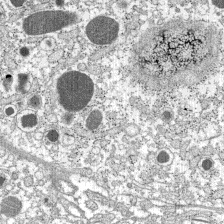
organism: C57BL Mouse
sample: Pancreatic islet